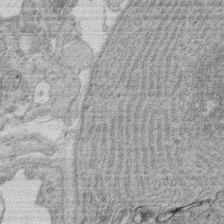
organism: Rat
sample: Salivary granule